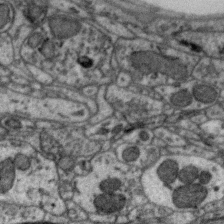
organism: Zebra finch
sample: Brain